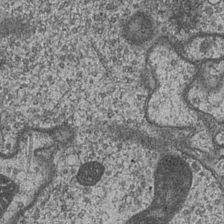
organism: Drosophila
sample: Optic medulla